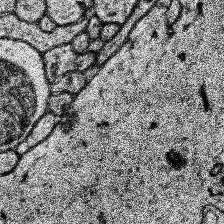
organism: Human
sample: Temporal Lobe